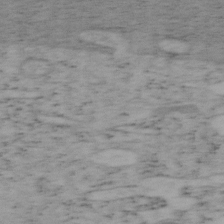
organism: Mouse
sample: OT-I killer T cells with ID8 ovarian cancer cells